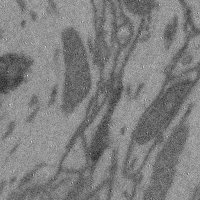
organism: Mouse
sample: Cerebral cortex